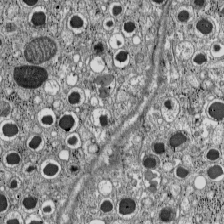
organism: C57BL Mouse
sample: Pancreatic islet